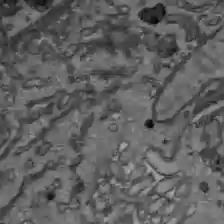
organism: C57BL Mouse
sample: Liver